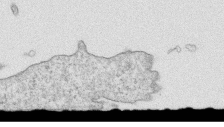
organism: Human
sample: HeLa cell HIV synapse